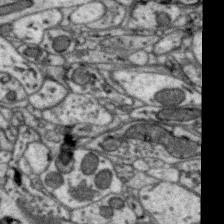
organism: Zebra finch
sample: Brain